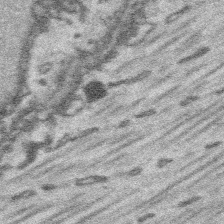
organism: Platynereis dumerilii